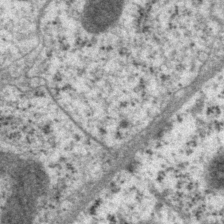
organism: P. pacificus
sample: Pharynx